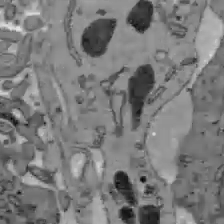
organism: C57BL Mouse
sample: Liver